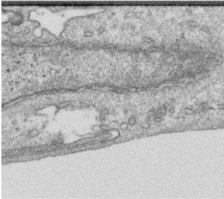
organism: Human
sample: Centriole in RPE cells